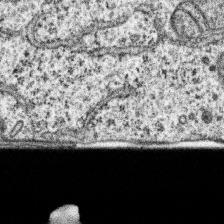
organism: Human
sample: HeLa cells